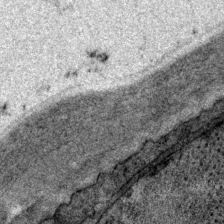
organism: P. pacificus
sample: Pharynx